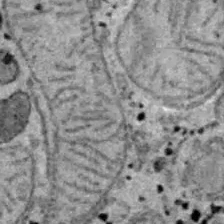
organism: Mouse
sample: Liver from an obese (ob/ob) mouse